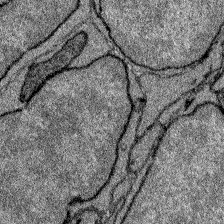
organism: Zebrafish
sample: Larval olfactory bulb